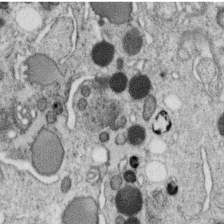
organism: C. elegans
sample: C. elegans oocyte; sperm cells